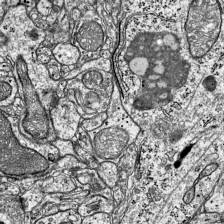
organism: Mouse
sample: Visual Cortex